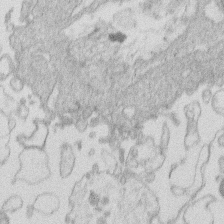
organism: Human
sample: Macrophage cells